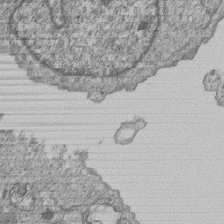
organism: Human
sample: MDA-MB-231 cells